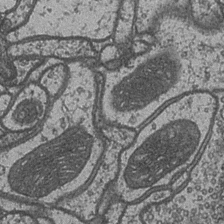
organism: Drosophila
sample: Optic medulla